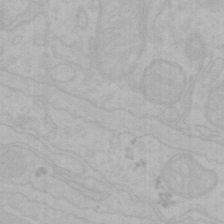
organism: Mouse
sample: Choroid plexus